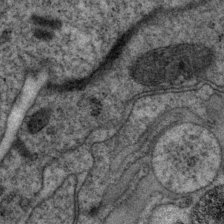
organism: P. pacificus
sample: Pharynx